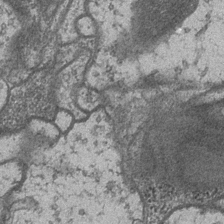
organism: Drosophila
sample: Optic medulla